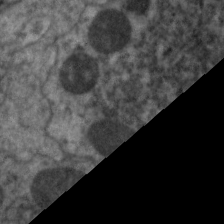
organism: C. elegans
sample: Pharynx